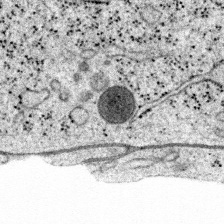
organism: Human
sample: HeLa cells